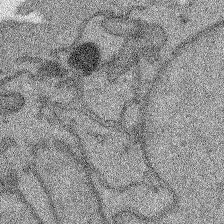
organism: Human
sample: HeLa cells